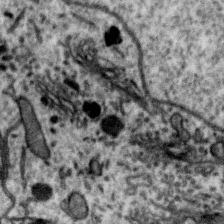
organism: Zebra finch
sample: Brain